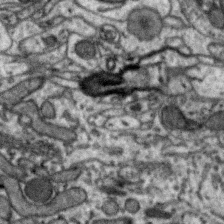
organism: Zebra finch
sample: Brain